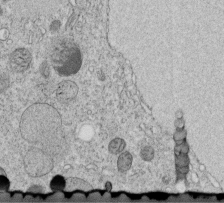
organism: C. elegans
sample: C. elegans embryo early stage